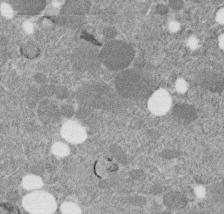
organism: C. elegans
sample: C. elegans embryo early stage